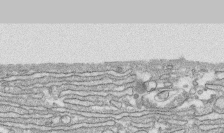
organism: Human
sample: CRL-1474